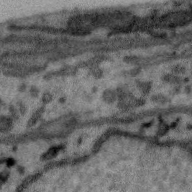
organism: Zebra finch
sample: Brain